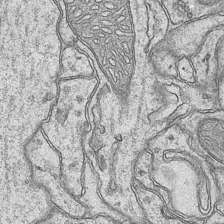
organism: Mouse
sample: CA1 Hippocampus